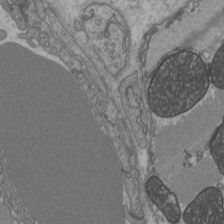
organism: C57BL Mouse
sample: Heart